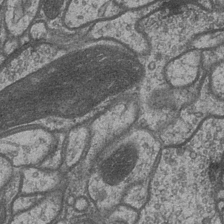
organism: Drosophila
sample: Optic medulla